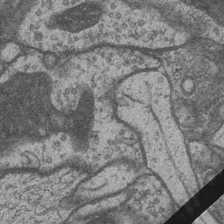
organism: Drosophila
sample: Optic medulla